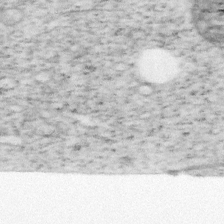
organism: Mouse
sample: OT-I killer T cells with ID8 ovarian cancer cells